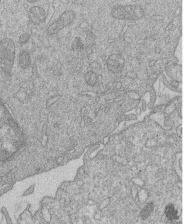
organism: Human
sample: Macrophage cells